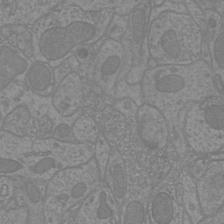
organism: Mouse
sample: Cortical neurons